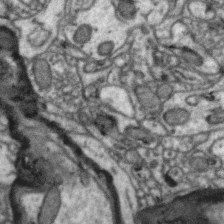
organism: Zebra finch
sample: Brain